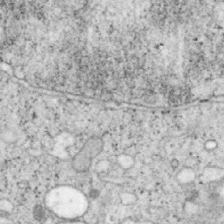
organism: Mouse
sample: OT-I killer T cells with ID8 ovarian cancer cells